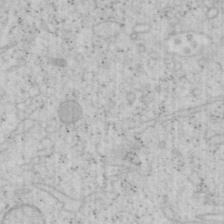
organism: Human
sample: HeLa cells